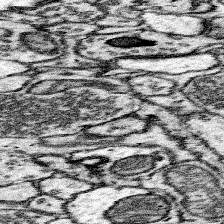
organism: Mouse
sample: Somatosensory cortex neuropil